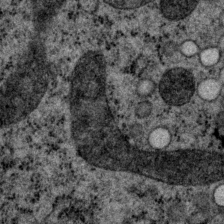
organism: P. pacificus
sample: Pharynx